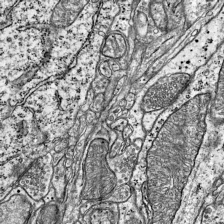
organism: Mouse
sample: Visual Cortex